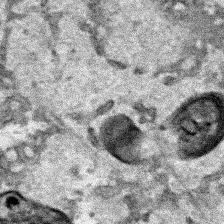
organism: Human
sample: Mitochondria in HCT116 cells